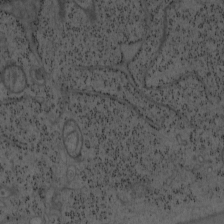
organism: Mouse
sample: OT-I killer T cells with ID8 ovarian cancer cells